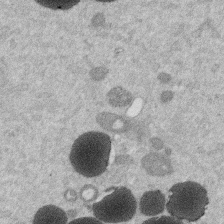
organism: Mouse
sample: Dividing mouse embryo 1 cell stage